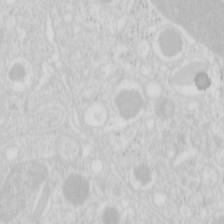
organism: Mouse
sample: Pancreas